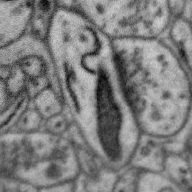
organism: Zebra finch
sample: Brain